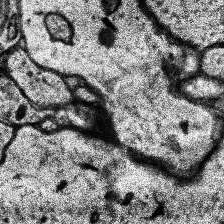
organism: Human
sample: Temporal Lobe